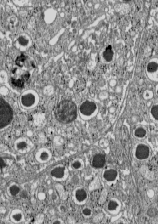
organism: C57BL Mouse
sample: Pancreatic islet